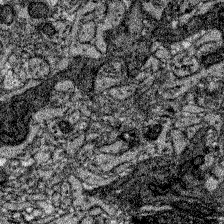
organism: Zebrafish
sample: Larval olfactory bulb